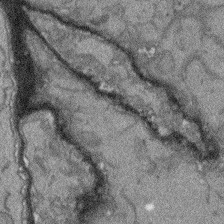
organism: Arabidopsis thaliana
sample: Root tip